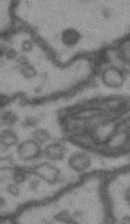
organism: Drosophila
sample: Brain